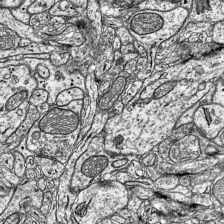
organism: Mouse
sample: Visual Cortex